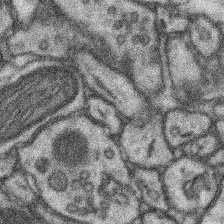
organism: Mouse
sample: Somatosensory cortex neuropil